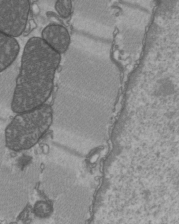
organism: C57BL Mouse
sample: Heart